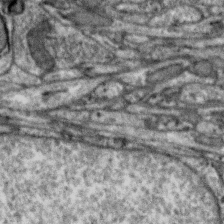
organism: Zebra finch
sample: Brain